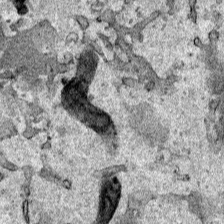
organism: Human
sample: Mitochondria in HCT116 cells